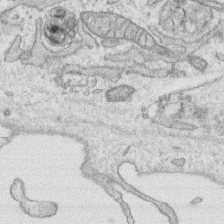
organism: Human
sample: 1205lu cells